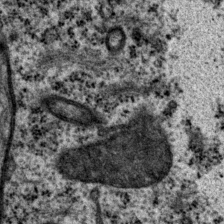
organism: P. pacificus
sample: Pharynx